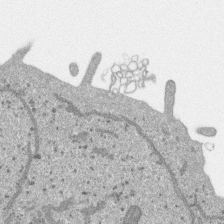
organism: Human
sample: Lung epithelial cells infected with SARS-CoV-2